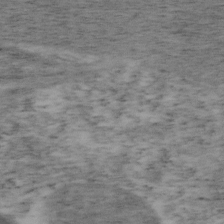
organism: Mouse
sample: OT-I killer T cells with ID8 ovarian cancer cells